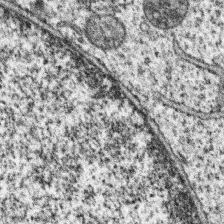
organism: Human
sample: HeLa cells